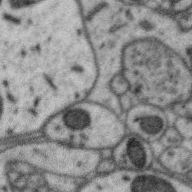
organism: Zebra finch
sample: Brain